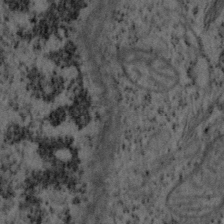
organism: Human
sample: HeLa cells